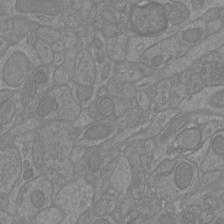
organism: Mouse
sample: Cortical neurons